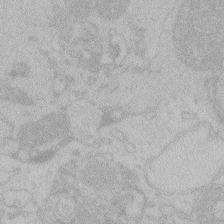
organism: Zebrafish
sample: Macrophage infected with Toxoplasma gondii